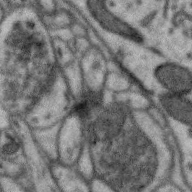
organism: Zebra finch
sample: Brain